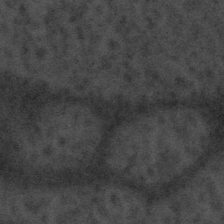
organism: Tuwongella immobilis